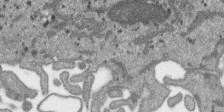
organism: Human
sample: Lung epithelial cells infected with SARS-CoV-2